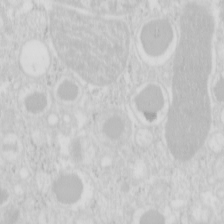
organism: Mouse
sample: Pancreas